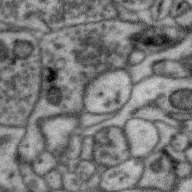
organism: Zebra finch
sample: Brain